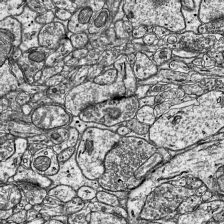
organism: Mouse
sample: Visual Cortex